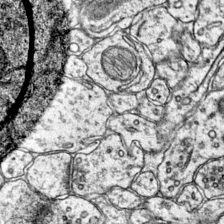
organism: Mouse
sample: Primary visual cortex